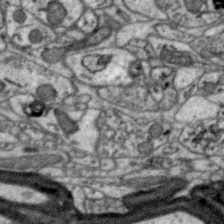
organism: Zebra finch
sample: Brain